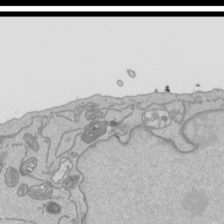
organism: Human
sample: Mitochondria in HCT116 cells